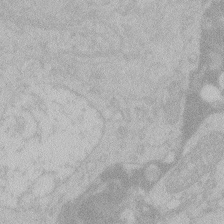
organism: Zebrafish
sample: Macrophage infected with Toxoplasma gondii